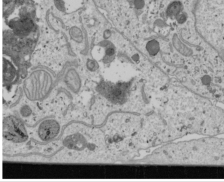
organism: Human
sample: Mitochondria in U2OS cells